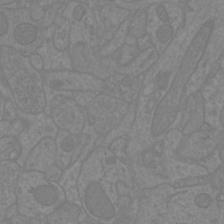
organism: Mouse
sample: Cortical neurons